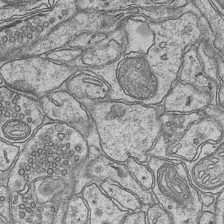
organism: Mouse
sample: CA1 Hippocampus